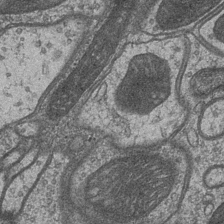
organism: Drosophila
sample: Optic medulla